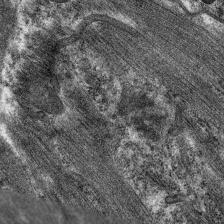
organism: C. elegans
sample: Pharynx